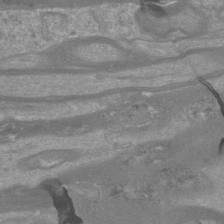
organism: Mouse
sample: Cortical neurons